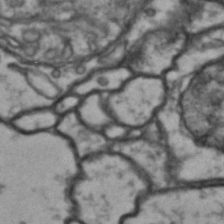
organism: Drosophila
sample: Brain